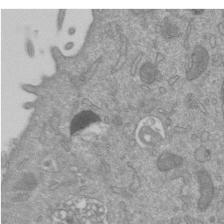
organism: Mouse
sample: ED-1 cell nuclei; centrioles